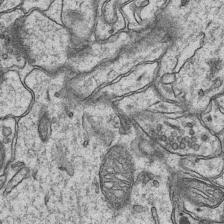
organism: Mouse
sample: CA1 Hippocampus